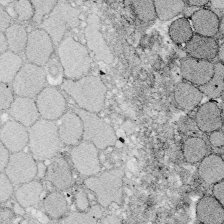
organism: Zebrafish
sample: Whole-Brain